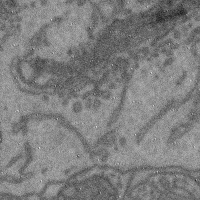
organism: Mouse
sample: Cerebral cortex